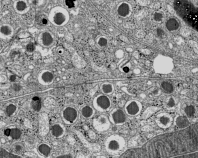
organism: C57BL Mouse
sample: Pancreatic islet